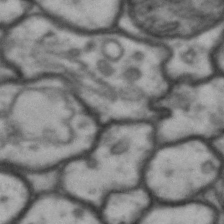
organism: Drosophila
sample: Brain